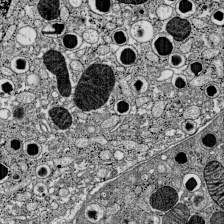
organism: C57BL Mouse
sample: Pancreatic islet